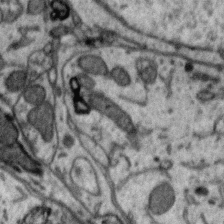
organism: Zebra finch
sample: Brain